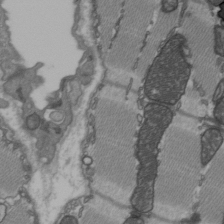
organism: C57BL Mouse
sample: Heart